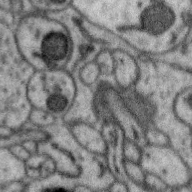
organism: Zebra finch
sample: Brain